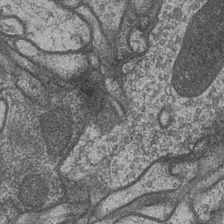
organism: Drosophila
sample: Optic medulla